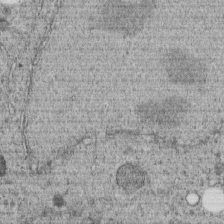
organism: C. elegans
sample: C. elegans embryo early stage